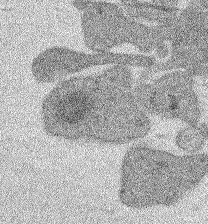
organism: Human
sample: HeLa cells